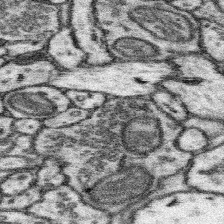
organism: Mouse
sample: Somatosensory cortex neuropil